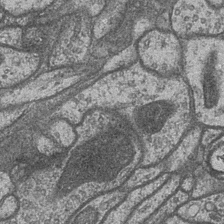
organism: Drosophila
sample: Optic medulla